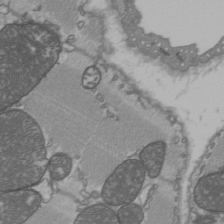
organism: C57BL Mouse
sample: Heart